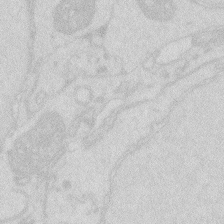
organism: Zebrafish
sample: Macrophage